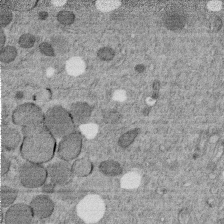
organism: C. elegans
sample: C. elegans embryo early stage